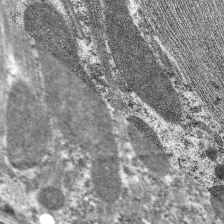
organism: C. elegans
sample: Pharynx